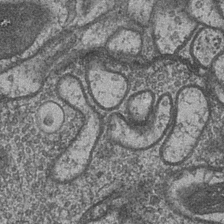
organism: Drosophila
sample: Optic medulla